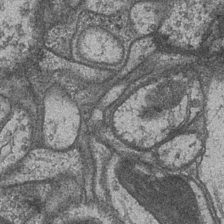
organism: Drosophila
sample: Optic medulla